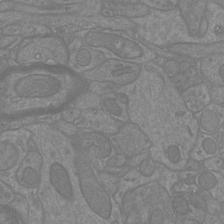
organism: Mouse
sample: Cortical neurons